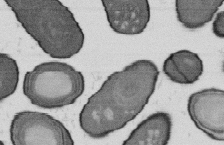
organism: B. subtilis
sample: Bacterial spore